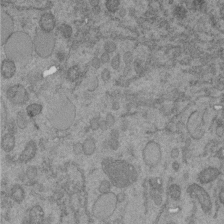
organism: C. elegans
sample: C. elegans embryo early stage